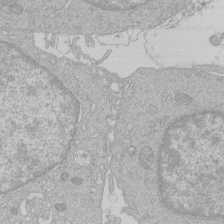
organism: Human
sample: Macrophage cells